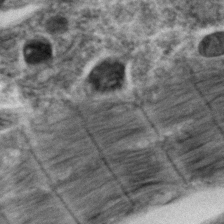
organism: Zebrafish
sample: Zebrafish embryo